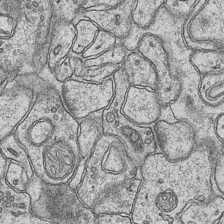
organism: Mouse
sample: CA1 Hippocampus